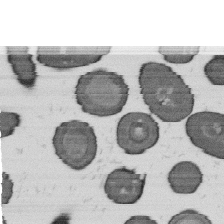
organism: B. subtilis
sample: Bacterial spore